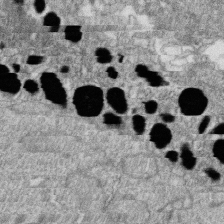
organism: Zebrafish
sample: Cilia; retinal pigment epithelium